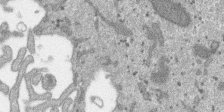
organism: Human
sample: Lung epithelial cells infected with SARS-CoV-2